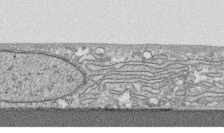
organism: Human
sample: CRL-1474